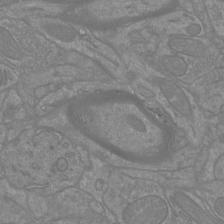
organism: Mouse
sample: Cortical neurons